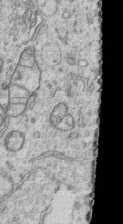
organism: Human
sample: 1205lu cells